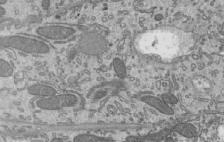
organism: Mouse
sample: Mouse epididymis efferent ductule cilia